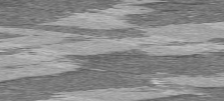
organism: C57BL Mouse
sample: Heart